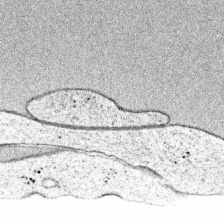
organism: Human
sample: HeLa cells